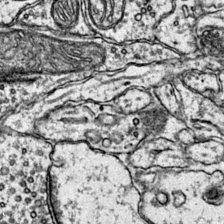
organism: Mouse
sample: Primary visual cortex